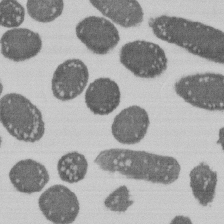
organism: E. coli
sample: Bacterial nucleoid